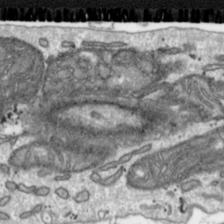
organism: Toxoplasma gondii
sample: Parasites in a vacuole inside a host cell